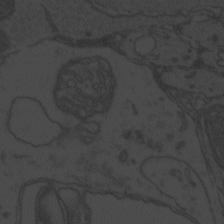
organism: Zebrafish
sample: Macrophage infected with Toxoplasma gondii